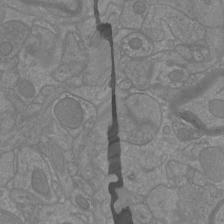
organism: Mouse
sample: Cortical neurons